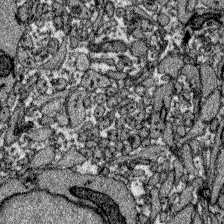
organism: Zebrafish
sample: Larval olfactory bulb